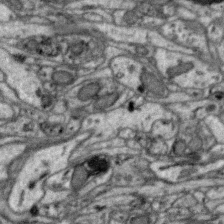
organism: Zebra finch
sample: Brain